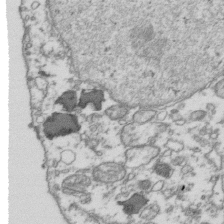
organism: Human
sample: Activated Jurkat CD4+ T cells